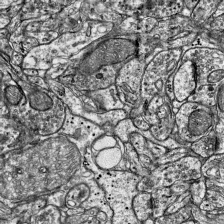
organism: Mouse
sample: Visual Cortex